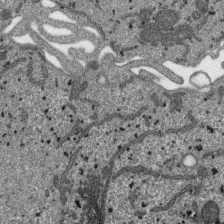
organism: Human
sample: Lung epithelial cells infected with SARS-CoV-2